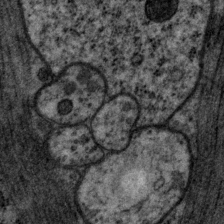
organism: P. pacificus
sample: Pharynx